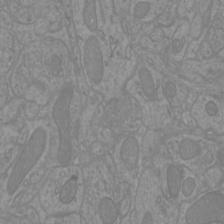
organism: Mouse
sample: Cortical neurons